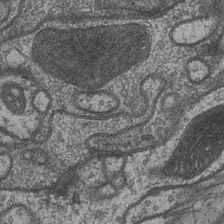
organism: Drosophila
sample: Optic medulla